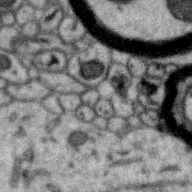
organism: Zebra finch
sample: Brain